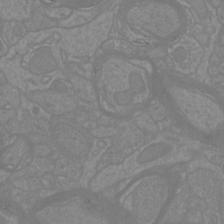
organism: Mouse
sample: Cortical neurons